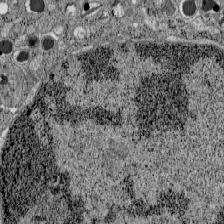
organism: C57BL Mouse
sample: Pancreatic islet